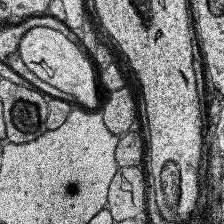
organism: Human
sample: Temporal Lobe